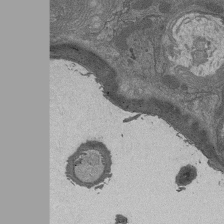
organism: Drosophila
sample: Antenna